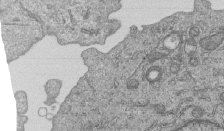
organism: Human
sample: MDA-MB-231 cells